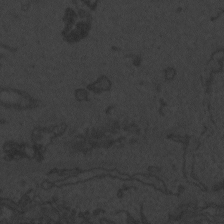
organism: Zebrafish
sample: Macrophage infected with Toxoplasma gondii